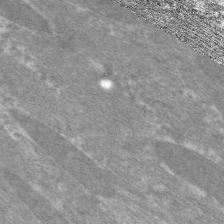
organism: C. elegans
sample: Pharynx